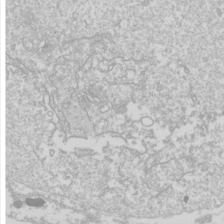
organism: Drosophila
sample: Cell division; meiosis; drosophila spermatocytes